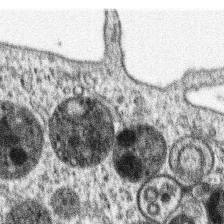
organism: Human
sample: HeLa cells